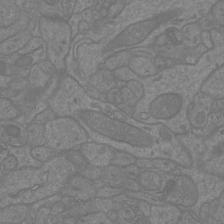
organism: Mouse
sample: Cortical neurons